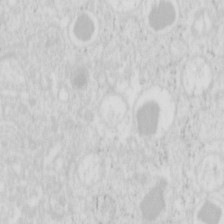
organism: Mouse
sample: Pancreas